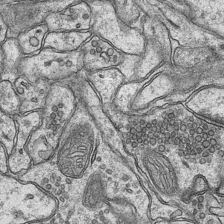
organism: Mouse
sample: CA1 Hippocampus